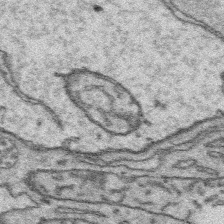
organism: Platynereis dumerilii